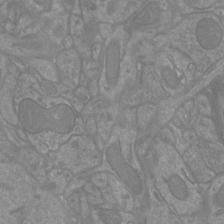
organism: Mouse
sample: Cortical neurons